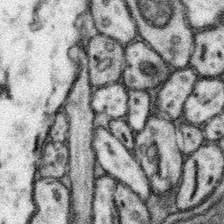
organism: Mouse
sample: Somatosensory cortex neuropil